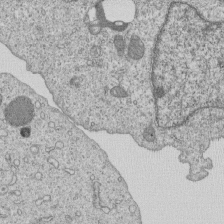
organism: Human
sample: MDA-MB-231 cells